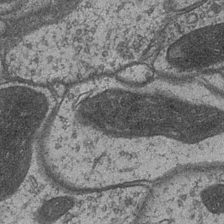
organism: Drosophila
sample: Optic medulla